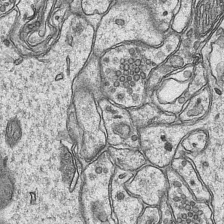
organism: Mouse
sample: CA1 Hippocampus